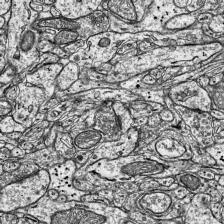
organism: Mouse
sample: Visual Cortex